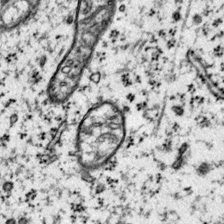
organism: Mouse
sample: Primary visual cortex